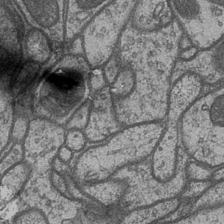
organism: Drosophila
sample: Optic medulla